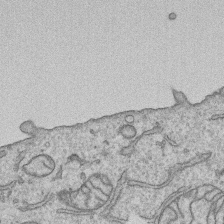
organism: Human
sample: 1205lu cells